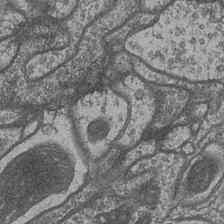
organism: Drosophila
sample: Optic medulla